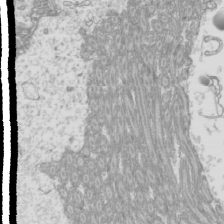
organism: Mouse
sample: Cilia; mouse epididymis